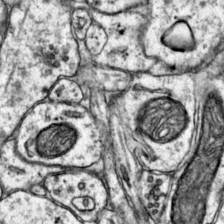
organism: Mouse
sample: Primary visual cortex